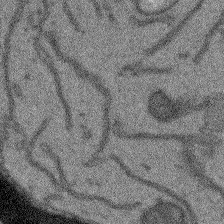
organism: Arabidopsis thaliana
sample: Root tip